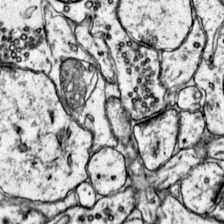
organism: Mouse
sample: Primary visual cortex